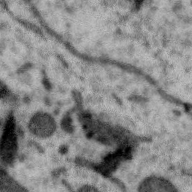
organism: Zebra finch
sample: Brain